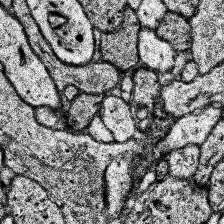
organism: Human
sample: Temporal Lobe